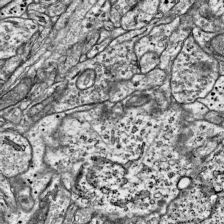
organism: Mouse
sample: Visual Cortex